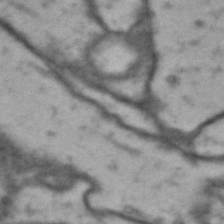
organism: Drosophila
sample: Brain